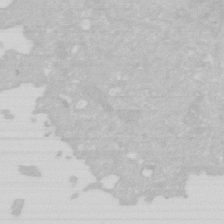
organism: Human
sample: HIV infected U937 cells